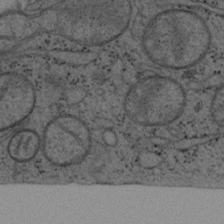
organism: Human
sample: HeLa cells